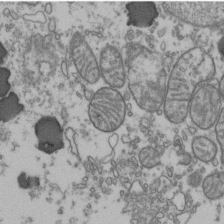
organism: Human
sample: Activated Jurkat CD4+ T cells